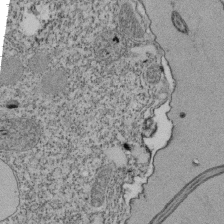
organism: Tetrahymena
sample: Cilia in tetrahymena